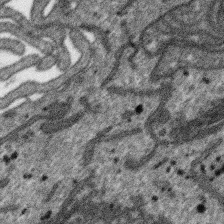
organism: Human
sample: Lung epithelial cells infected with SARS-CoV-2